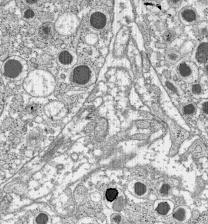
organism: C57BL Mouse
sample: Pancreatic islet